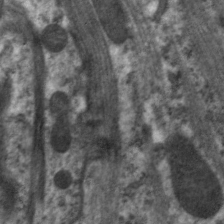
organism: C. elegans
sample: Pharynx